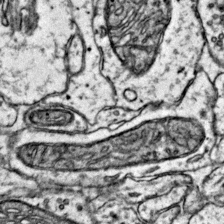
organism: Mouse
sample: Primary visual cortex